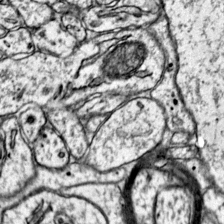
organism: Mouse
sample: Primary visual cortex